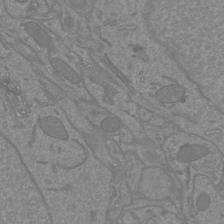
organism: Mouse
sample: Cortical neurons